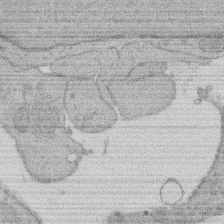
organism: Rat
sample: Salivary granule